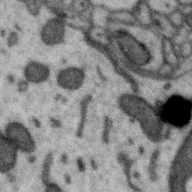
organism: Zebra finch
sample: Brain